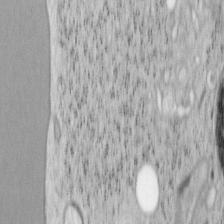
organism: Human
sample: HeLa cells